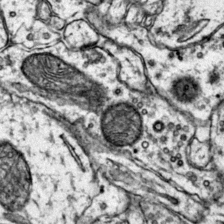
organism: Mouse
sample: Primary visual cortex